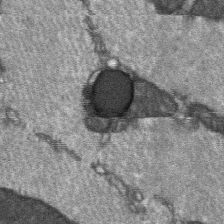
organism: C57BL Mouse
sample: Soleus